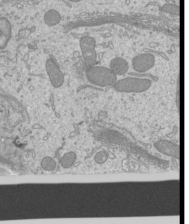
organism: Mouse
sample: Cilia; mouse epididymis